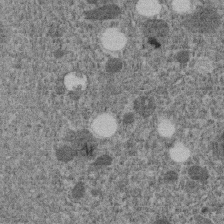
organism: C. elegans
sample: C. elegans embryo early stage